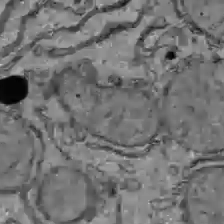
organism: C57BL Mouse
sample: Liver